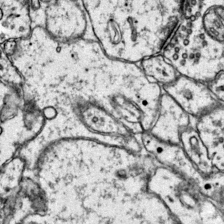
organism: Mouse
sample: Primary visual cortex